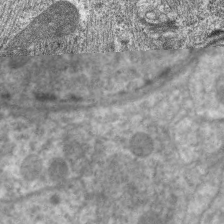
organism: C. elegans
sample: Pharynx